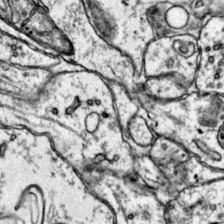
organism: Mouse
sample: Primary visual cortex